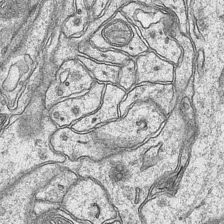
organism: Mouse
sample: CA1 Hippocampus